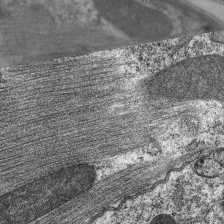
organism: C. elegans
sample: Pharynx